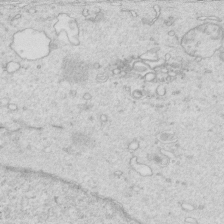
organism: Mouse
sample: Multiciliated cells